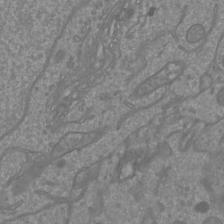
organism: Mouse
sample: Cortical neurons